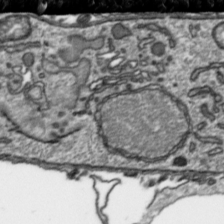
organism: Toxoplasma gondii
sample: Parasites in a vacuole inside a host cell